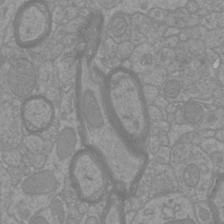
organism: Mouse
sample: Cortical neurons